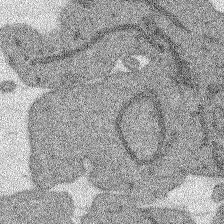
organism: Human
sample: HeLa cells